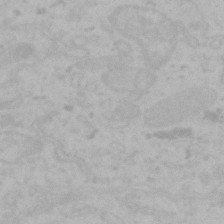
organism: Mouse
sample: Choroid plexus